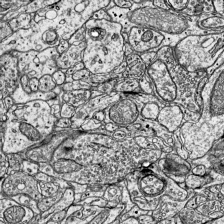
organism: Mouse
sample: Visual Cortex